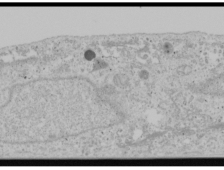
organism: Human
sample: Mitochondria in U2OS cells